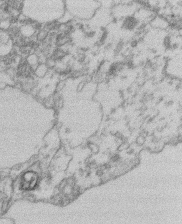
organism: Mouse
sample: T cell stromal cell synapse